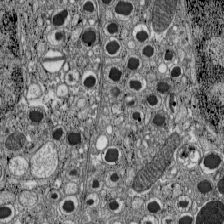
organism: C57BL Mouse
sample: Pancreatic islet